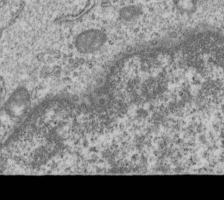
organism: Human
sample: MDA-MB-231 cells